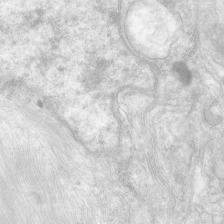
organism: Human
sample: Neocortex